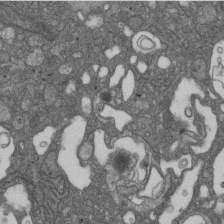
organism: Drosophila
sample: Nephrocyte